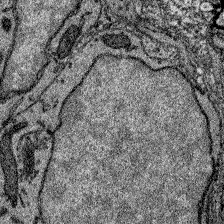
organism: Zebrafish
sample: Larval olfactory bulb